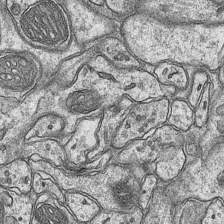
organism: Mouse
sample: CA1 Hippocampus